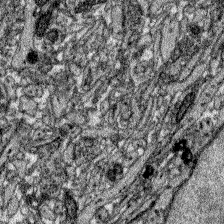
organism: Zebrafish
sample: Larval olfactory bulb